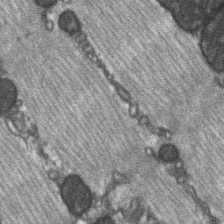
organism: C57BL Mouse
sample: Soleus